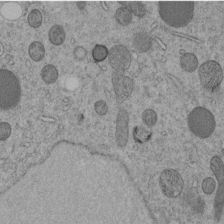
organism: C. elegans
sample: C. elegans embryo early stage